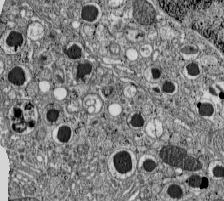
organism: C57BL Mouse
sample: Pancreatic islet